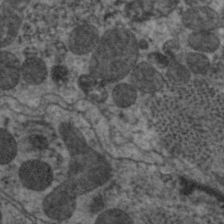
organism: C. elegans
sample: Pharynx